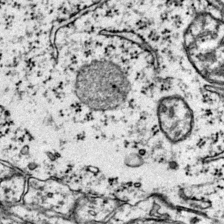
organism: Mouse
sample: Primary visual cortex